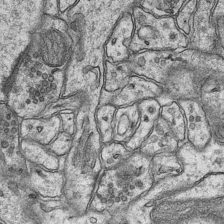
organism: Mouse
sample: CA1 Hippocampus